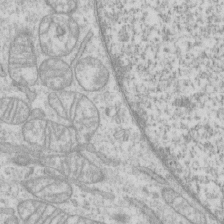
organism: Human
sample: CRL-1474